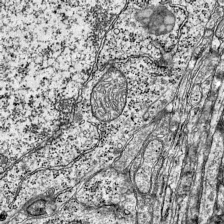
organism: Mouse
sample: Visual Cortex